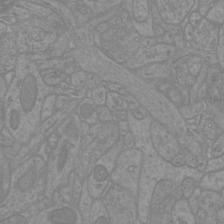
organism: Mouse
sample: Cortical neurons